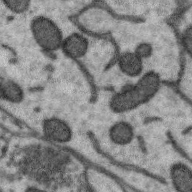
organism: Zebra finch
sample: Brain